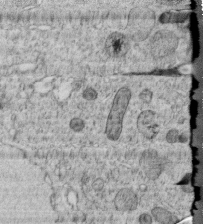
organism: C. elegans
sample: C. elegans embryo early stage